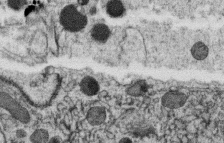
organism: C. elegans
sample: C. elegans oocyte; sperm cells